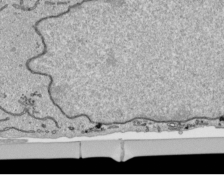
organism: Human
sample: Mitochondria in HCT116 cells